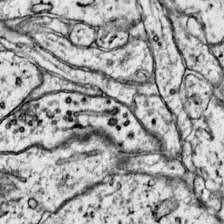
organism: Mouse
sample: Primary visual cortex